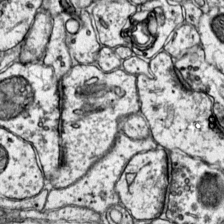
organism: Mouse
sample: Primary visual cortex